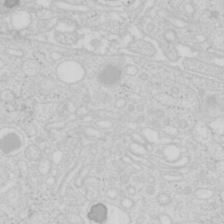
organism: Mouse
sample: Pancreas